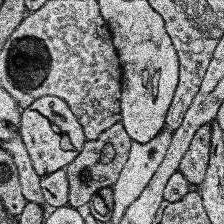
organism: Human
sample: Temporal Lobe